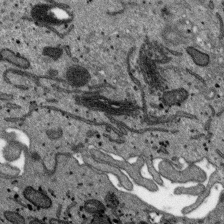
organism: Human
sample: Lung epithelial cells, uninfected (mock) control